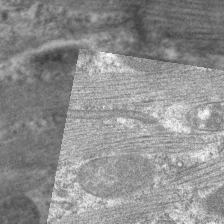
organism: C. elegans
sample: Pharynx